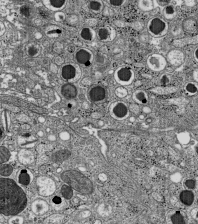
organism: C57BL Mouse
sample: Pancreatic islet